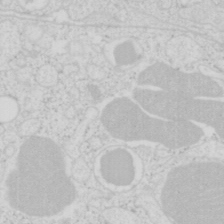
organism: Mouse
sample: Pancreas